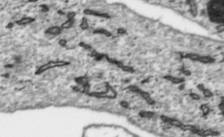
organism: Toxoplasma gondii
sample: Parasites in a vacuole inside a host cell